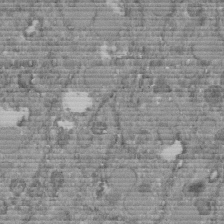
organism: C. elegans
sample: C. elegans embryo early stage